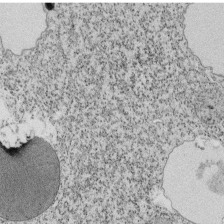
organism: Tetrahymena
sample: Cilia in tetrahymena